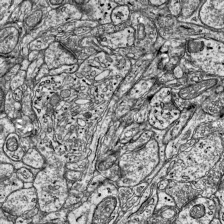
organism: Mouse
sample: Visual Cortex